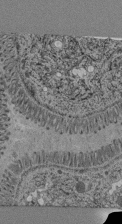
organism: C. elegans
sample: C. elegans pharynx